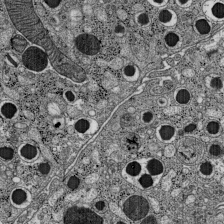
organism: C57BL Mouse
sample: Pancreatic islet